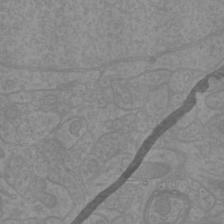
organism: Mouse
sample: Cortical neurons